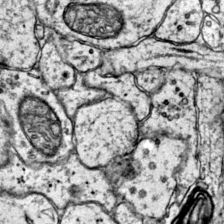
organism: Mouse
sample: Primary visual cortex